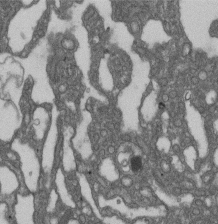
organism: Drosophila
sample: Nephrocyte